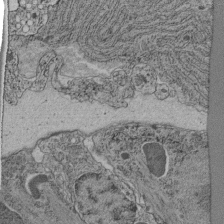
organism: C. elegans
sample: C. elegans pharynx